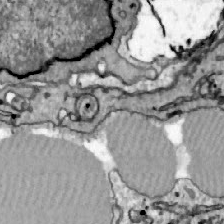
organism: Zebrafish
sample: Actinotrichia fibers